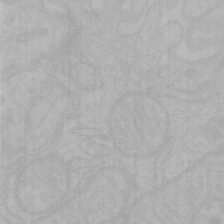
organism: Mouse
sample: Choroid plexus